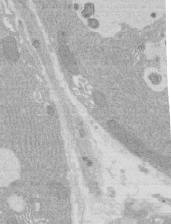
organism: Rat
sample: Salivary granule